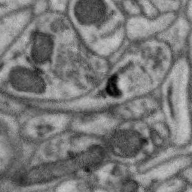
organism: Zebra finch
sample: Brain